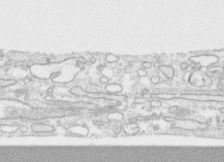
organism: Human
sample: CRL-1474